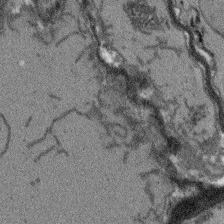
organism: Arabidopsis thaliana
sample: Root tip